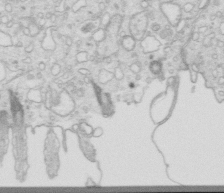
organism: Mouse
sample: Multiciliated cells